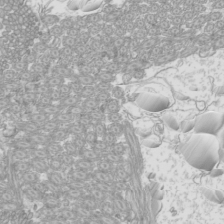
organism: Mouse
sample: Cilia; mouse epididymis